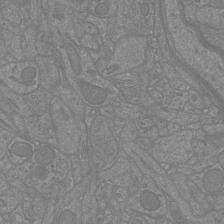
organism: Mouse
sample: Cortical neurons